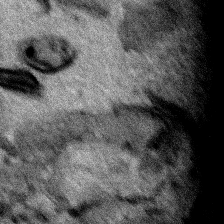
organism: Human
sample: Mitochondria in HCT116 cells